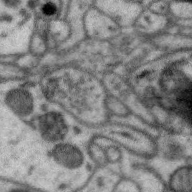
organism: Zebra finch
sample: Brain